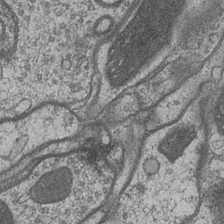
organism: Drosophila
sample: Optic medulla